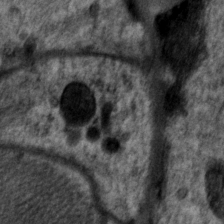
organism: P. pacificus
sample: Pharynx